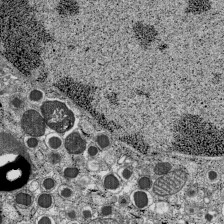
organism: C57BL Mouse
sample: Pancreatic islet